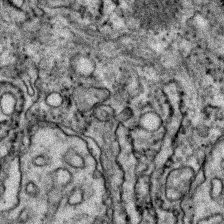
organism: Zebrafish